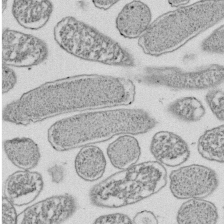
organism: E. coli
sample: Bacterial nucleoid